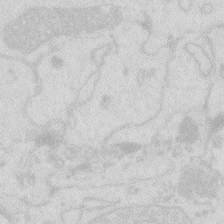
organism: Zebrafish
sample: Macrophage